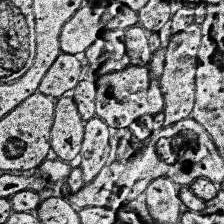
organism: Human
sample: Temporal Lobe